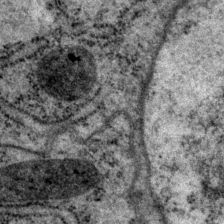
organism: P. pacificus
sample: Pharynx